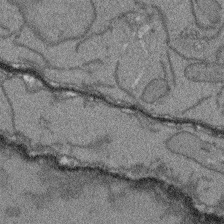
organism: Arabidopsis thaliana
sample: Root tip